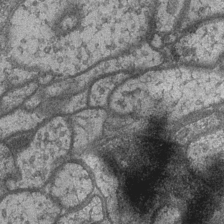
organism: Drosophila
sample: Optic medulla